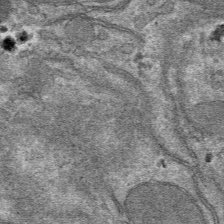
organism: Mouse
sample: Mouse hepatocytes